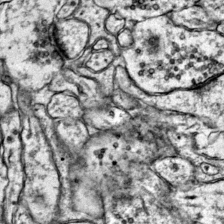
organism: Mouse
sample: Primary visual cortex